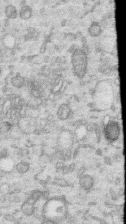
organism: Human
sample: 1205lu cells